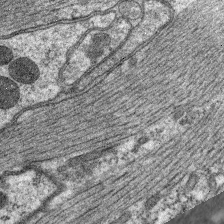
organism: C. elegans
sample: Pharynx